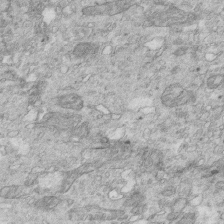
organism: Mouse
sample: Multiciliated cells